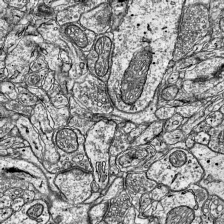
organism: Mouse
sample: Visual Cortex